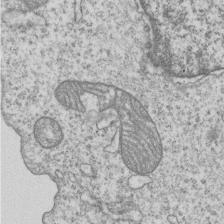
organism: Human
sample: MDA-MB-231 cells